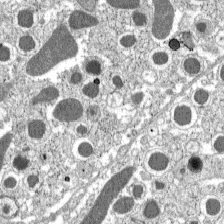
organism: C57BL Mouse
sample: Pancreatic islet